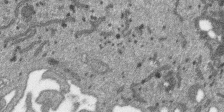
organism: Human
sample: Lung epithelial cells infected with SARS-CoV-2